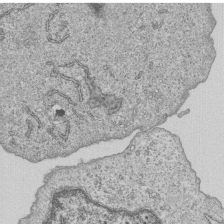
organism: Human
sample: MDA-MB-231 cells